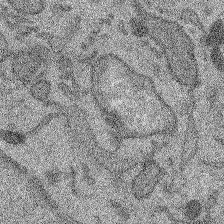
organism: Human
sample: HeLa cells